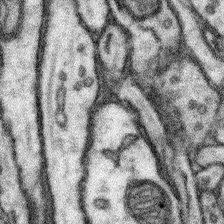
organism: Mouse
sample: Somatosensory cortex neuropil